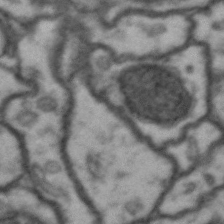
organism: Drosophila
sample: Brain